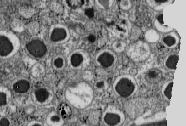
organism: C57BL Mouse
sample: Pancreatic islet